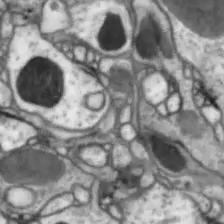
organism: Drosophila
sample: Optic lobe